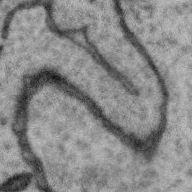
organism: Zebra finch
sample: Brain